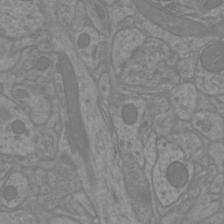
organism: Mouse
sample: Cortical neurons